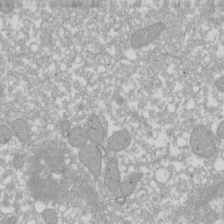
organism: Xenopus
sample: Cilia; centrioles in frog embryo cells